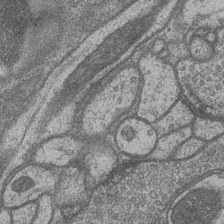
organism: Drosophila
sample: Optic medulla